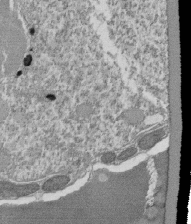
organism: Tetrahymena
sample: Cilia in tetrahymena